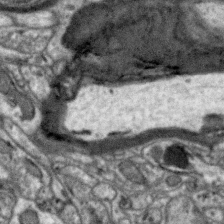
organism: Zebra finch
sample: Brain